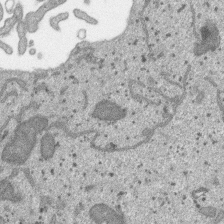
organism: Human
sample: Lung epithelial cells infected with SARS-CoV-2